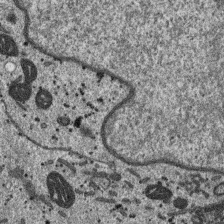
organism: Human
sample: Lung epithelial cells infected with SARS-CoV-2